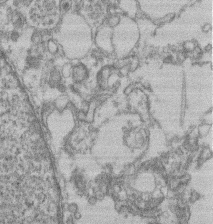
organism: Mouse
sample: T cell stromal cell synapse